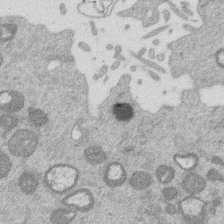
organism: Mouse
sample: Dividing mouse embryo 1 cell stage